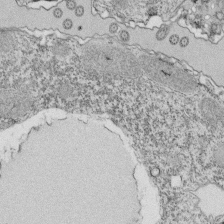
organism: Tetrahymena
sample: Cilia in tetrahymena